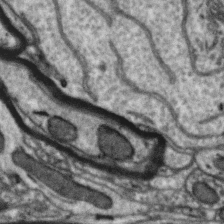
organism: Zebra finch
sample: Brain